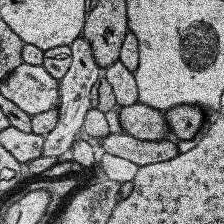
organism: Human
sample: Temporal Lobe